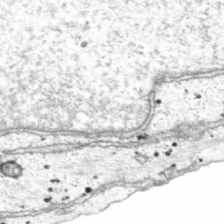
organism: Human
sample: HeLa cells